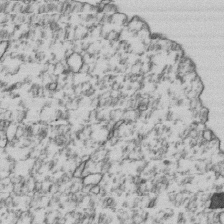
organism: Human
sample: Activated Jurkat CD4+ T cells